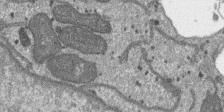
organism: Human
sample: Lung epithelial cells infected with SARS-CoV-2